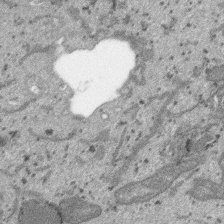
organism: Human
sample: Lung epithelial cells infected with SARS-CoV-2